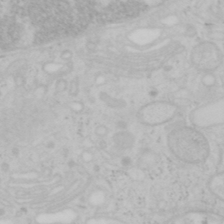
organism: Mouse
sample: OT-I killer T cells with ID8 ovarian cancer cells